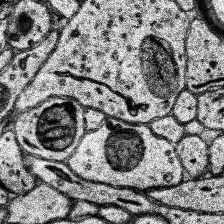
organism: Human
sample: Temporal Lobe